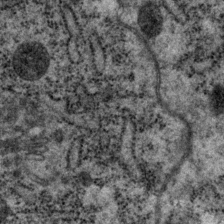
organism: P. pacificus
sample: Pharynx